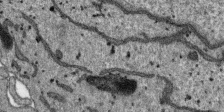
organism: Human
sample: Lung epithelial cells, uninfected (mock) control